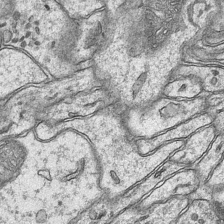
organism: Mouse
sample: CA1 Hippocampus